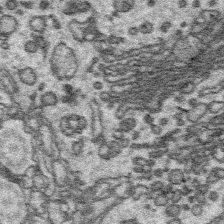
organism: Platynereis dumerilii